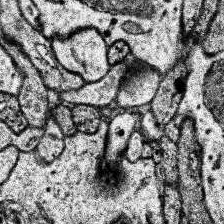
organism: Human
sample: Temporal Lobe